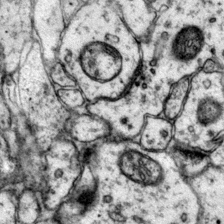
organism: Mouse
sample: Primary visual cortex